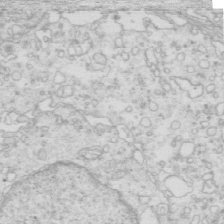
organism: Mouse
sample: Multiciliated cells